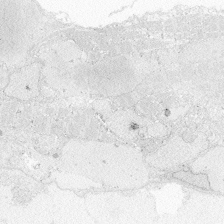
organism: Zebrafish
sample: Whole-Brain